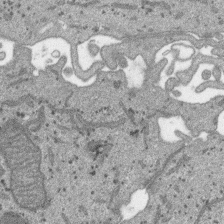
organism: Human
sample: Lung epithelial cells infected with SARS-CoV-2